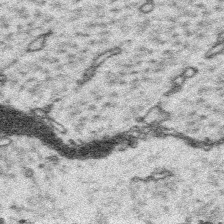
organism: Platynereis dumerilii